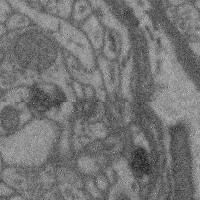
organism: Mouse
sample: Cerebral cortex